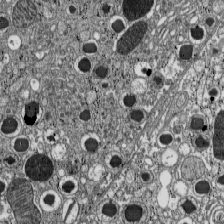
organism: C57BL Mouse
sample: Pancreatic islet